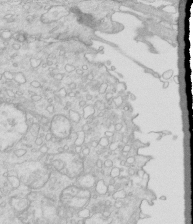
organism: Mouse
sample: Multiciliated cells